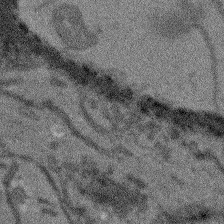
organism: Arabidopsis thaliana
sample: Root tip